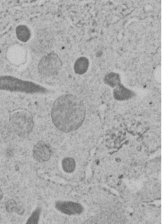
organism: C. elegans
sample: C. elegans embryo early stage